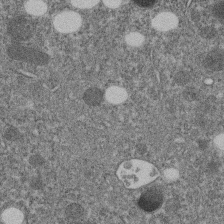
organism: C. elegans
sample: C. elegans embryo early stage